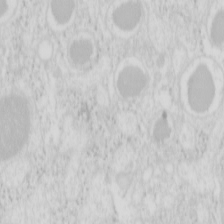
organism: Mouse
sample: Pancreas